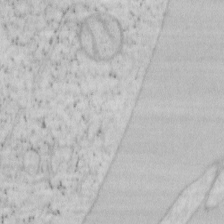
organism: Human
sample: HeLa cells